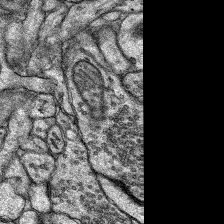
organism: Rat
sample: Hippocampus